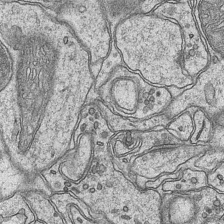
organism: Mouse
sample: CA1 Hippocampus